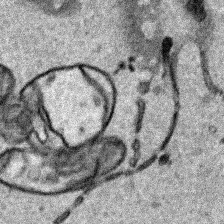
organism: Human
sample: Mitochondria in HCT116 cells